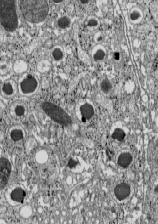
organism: C57BL Mouse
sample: Pancreatic islet